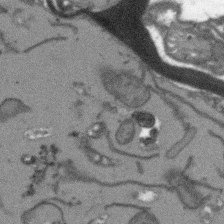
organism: Arabidopsis thaliana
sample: Root tip